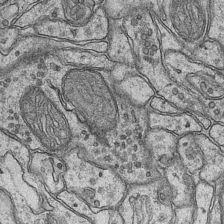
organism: Mouse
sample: CA1 Hippocampus